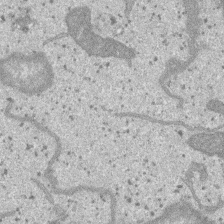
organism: Human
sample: Lung epithelial cells infected with SARS-CoV-2